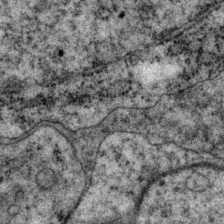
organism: P. pacificus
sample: Pharynx